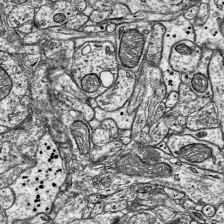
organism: Mouse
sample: Visual Cortex